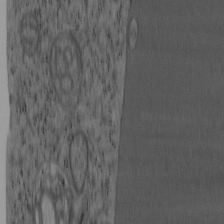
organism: Human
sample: HeLa cells